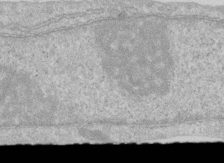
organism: Human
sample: Centriole in RPE cells